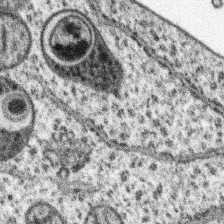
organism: Human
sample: HeLa cells